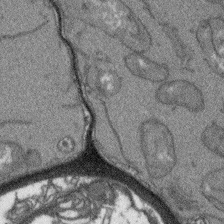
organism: Arabidopsis thaliana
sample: Root tip